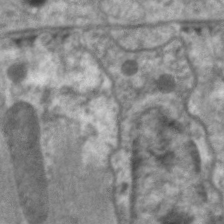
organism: C. elegans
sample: Pharynx